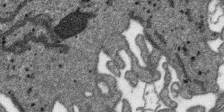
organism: Human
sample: Lung epithelial cells infected with SARS-CoV-2